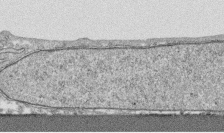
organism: Human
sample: CRL-1474